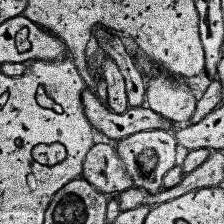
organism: Human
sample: Temporal Lobe